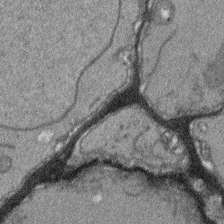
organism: Arabidopsis thaliana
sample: Root tip